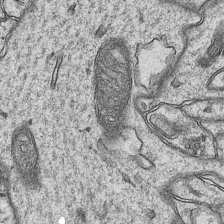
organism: Mouse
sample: CA1 Hippocampus